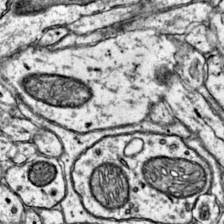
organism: Mouse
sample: Primary visual cortex